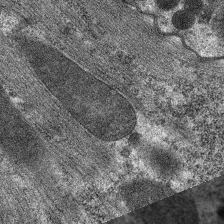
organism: C. elegans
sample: Pharynx